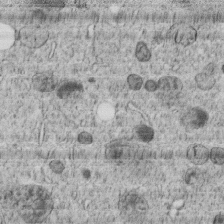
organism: C. elegans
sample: C. elegans embryo early stage